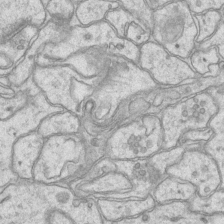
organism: Mouse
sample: CA1 Hippocampus